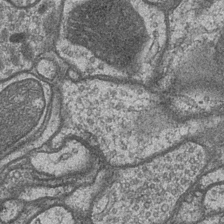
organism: Drosophila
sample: Optic medulla